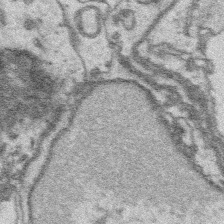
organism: Platynereis dumerilii